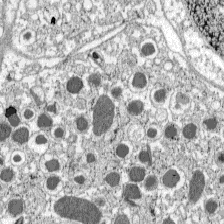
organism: C57BL Mouse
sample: Pancreatic islet